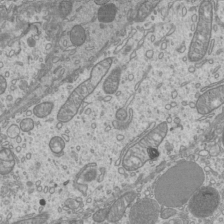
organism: Mouse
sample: Cilia; mouse epididymis